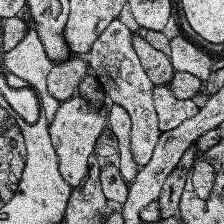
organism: Human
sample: Temporal Lobe